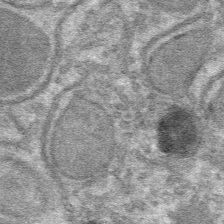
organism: Mouse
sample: Mouse hepatocytes